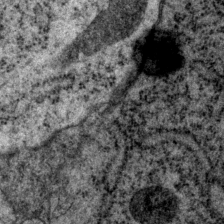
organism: P. pacificus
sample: Pharynx